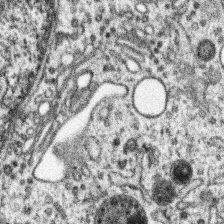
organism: Human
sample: HeLa cells